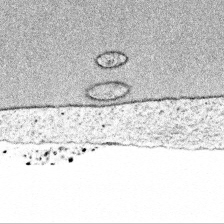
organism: Human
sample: HeLa cells